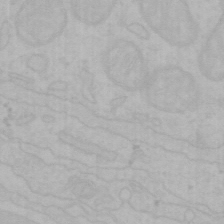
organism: Mouse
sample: Choroid plexus